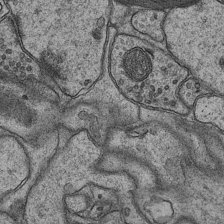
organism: Mouse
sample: CA1 Hippocampus